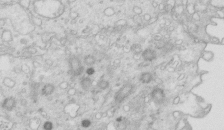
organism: Mouse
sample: Multiciliated cells